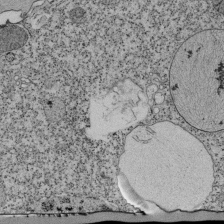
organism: Tetrahymena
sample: Cilia in tetrahymena